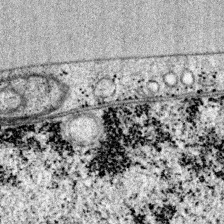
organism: Human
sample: HeLa cells